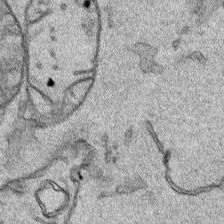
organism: Human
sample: Mitochondria in HCT116 cells